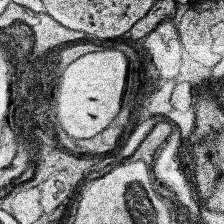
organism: Human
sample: Temporal Lobe